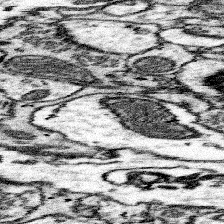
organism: Mouse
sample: Somatosensory cortex neuropil